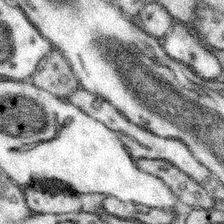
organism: Mouse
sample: Somatosensory cortex neuropil